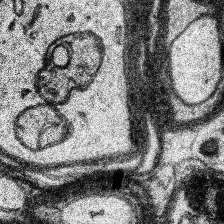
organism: Human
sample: Temporal Lobe